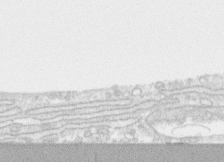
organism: Human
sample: CRL-1474